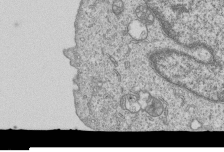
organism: Human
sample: MDA-MB-231 cells